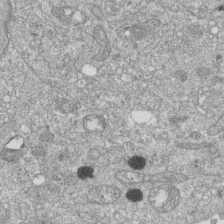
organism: Human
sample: HeLa cell HIV synapse